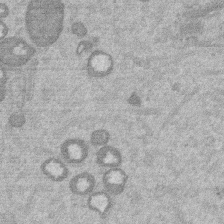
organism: Mouse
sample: Dividing mouse embryo 1 cell stage